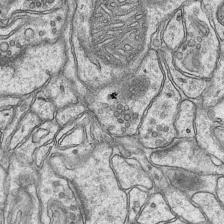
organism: Mouse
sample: CA1 Hippocampus